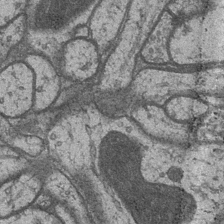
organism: Drosophila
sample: Optic medulla